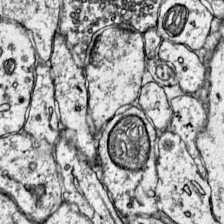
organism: Mouse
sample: Primary visual cortex